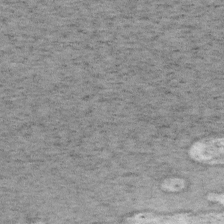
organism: Mouse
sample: OT-I killer T cells with ID8 ovarian cancer cells